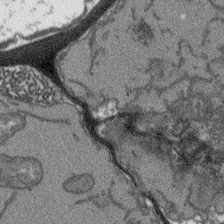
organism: Arabidopsis thaliana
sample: Root tip